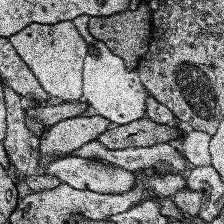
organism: Human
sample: Temporal Lobe